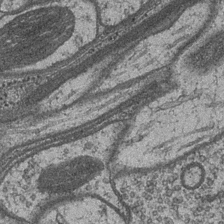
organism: Drosophila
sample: Optic medulla